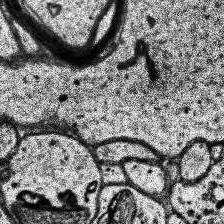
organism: Human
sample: Temporal Lobe